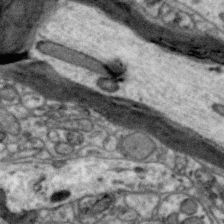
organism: Zebra finch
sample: Brain